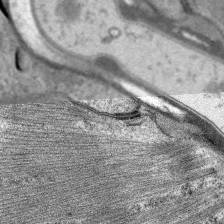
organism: C. elegans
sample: Pharynx